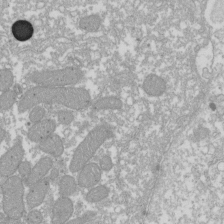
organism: Xenopus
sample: Cilia; centrioles in frog embryo cells